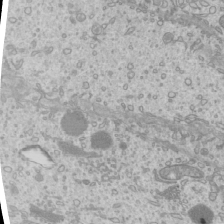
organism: Mouse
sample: Cilia; mouse epididymis